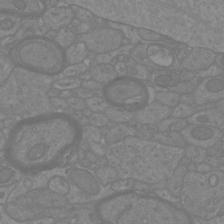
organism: Mouse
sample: Cortical neurons